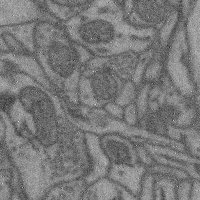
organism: Mouse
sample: Cerebral cortex